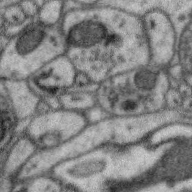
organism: Zebra finch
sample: Brain